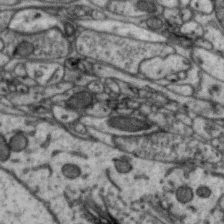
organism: Zebra finch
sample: Brain